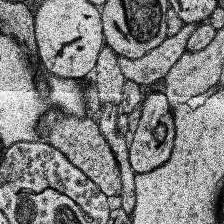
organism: Human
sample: Temporal Lobe